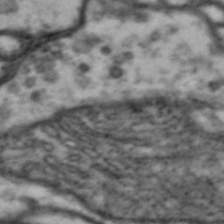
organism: Drosophila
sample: Brain